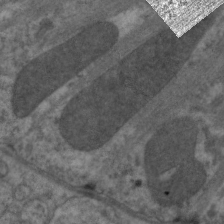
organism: C. elegans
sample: Pharynx